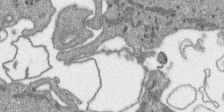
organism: Human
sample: Lung epithelial cells infected with SARS-CoV-2